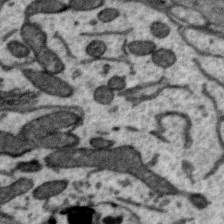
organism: Zebra finch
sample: Brain